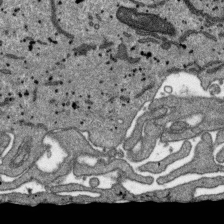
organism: Human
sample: Lung epithelial cells, uninfected (mock) control